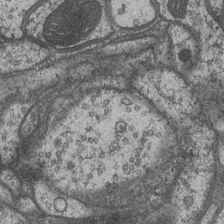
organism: Drosophila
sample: Optic medulla